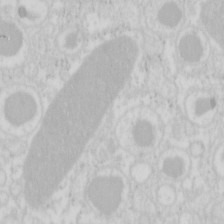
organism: Mouse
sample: Pancreas